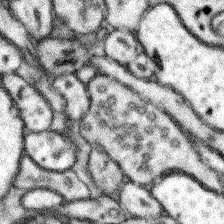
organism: Mouse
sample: Somatosensory cortex neuropil